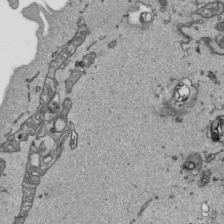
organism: Human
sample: Mitochondria in HCT116 cells